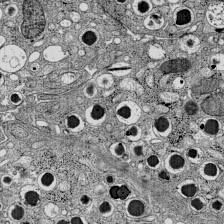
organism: C57BL Mouse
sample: Pancreatic islet